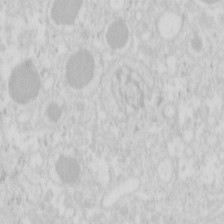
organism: Mouse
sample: Pancreas